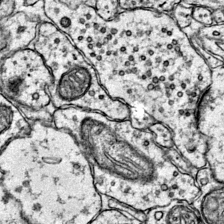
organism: Mouse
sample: Primary visual cortex